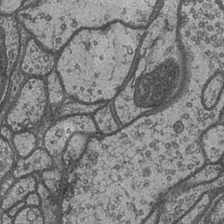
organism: Drosophila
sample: Optic medulla